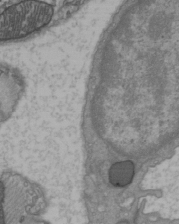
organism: C57BL Mouse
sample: Heart